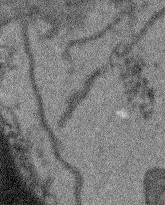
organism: Arabidopsis thaliana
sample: Root tip